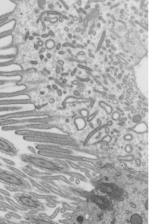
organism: Mouse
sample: Mouse epididymis efferent ductule cilia